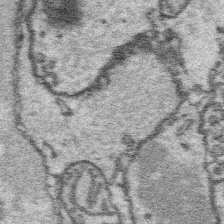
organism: Platynereis dumerilii